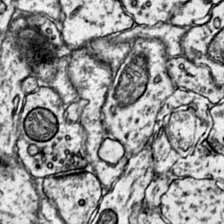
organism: Mouse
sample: Primary visual cortex